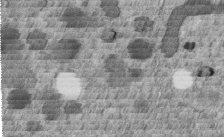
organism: C. elegans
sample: C. elegans embryo early stage